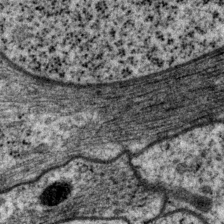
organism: P. pacificus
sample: Pharynx